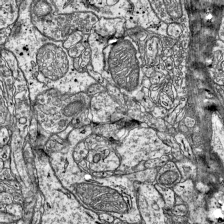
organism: Mouse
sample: Visual Cortex